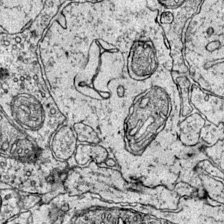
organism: Mouse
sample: Primary visual cortex